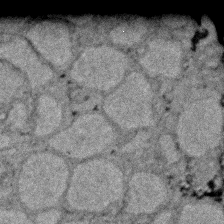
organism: Zebrafish